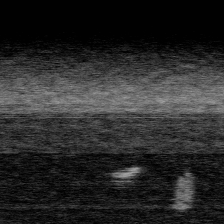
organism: Human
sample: HeLa cells